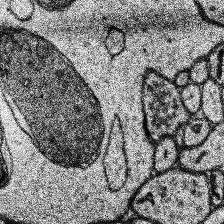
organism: Human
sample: Temporal Lobe